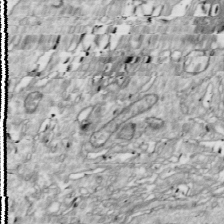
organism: Drosophila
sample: Cell division; meiosis; drosophila spermatocytes